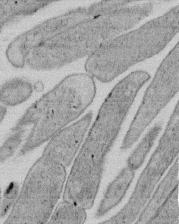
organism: E. coli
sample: Bacterial nucleoid